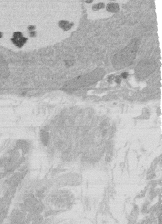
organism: Rat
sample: Salivary granule